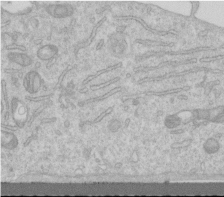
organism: Human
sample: Centriole in RPE cells